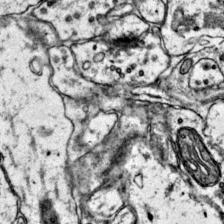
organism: Mouse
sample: Primary visual cortex